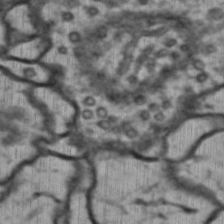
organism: Drosophila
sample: Brain